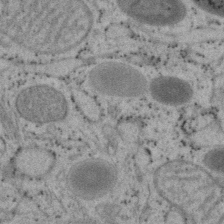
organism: Human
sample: HeLa cells